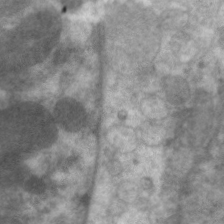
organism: C. elegans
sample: Pharynx